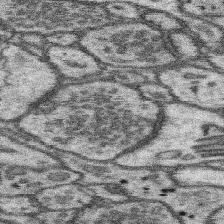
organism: Mouse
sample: Somatosensory cortex neuropil